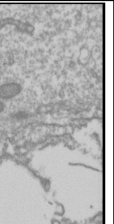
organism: Drosophila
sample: Cell division; meiosis; drosophila spermatocytes